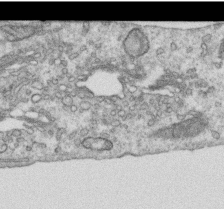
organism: Human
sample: Centriole in RPE cells